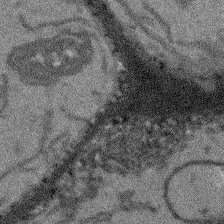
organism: Arabidopsis thaliana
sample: Root tip